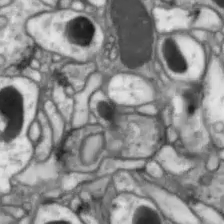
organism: Drosophila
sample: Optic lobe